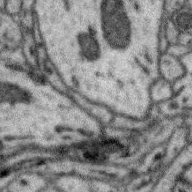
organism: Zebra finch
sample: Brain